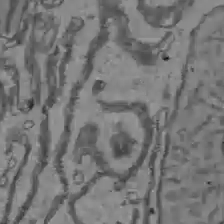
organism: C57BL Mouse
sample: Liver